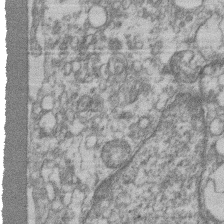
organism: Mouse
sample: T cell stromal cell synapse